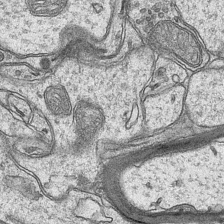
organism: Mouse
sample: CA1 Hippocampus